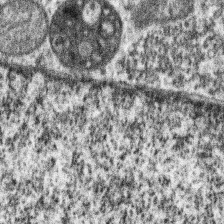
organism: Human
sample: HeLa cells